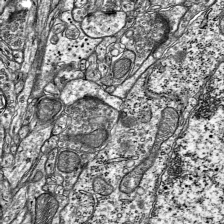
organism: Mouse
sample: Visual Cortex